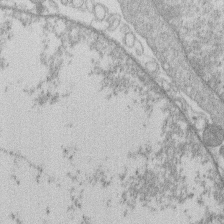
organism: Human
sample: Macrophage cells